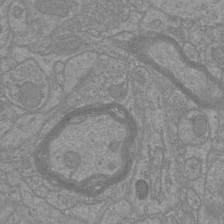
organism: Mouse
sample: Cortical neurons